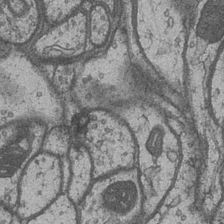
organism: Drosophila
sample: Optic medulla